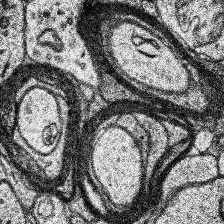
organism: Human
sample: Temporal Lobe